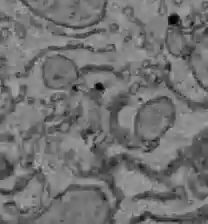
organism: C57BL Mouse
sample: Liver